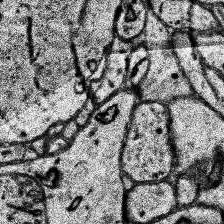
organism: Human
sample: Temporal Lobe